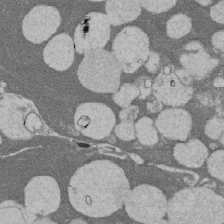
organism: Rat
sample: Salivary granule